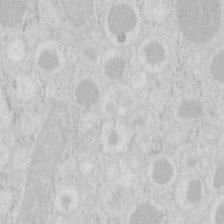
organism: Mouse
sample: Pancreas